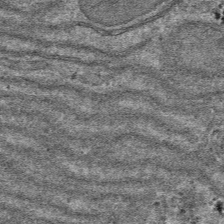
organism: Mouse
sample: Mouse hepatocytes